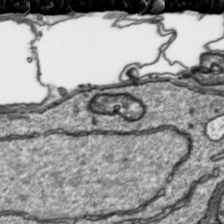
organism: Toxoplasma gondii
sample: Parasites in a vacuole inside a host cell